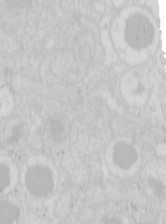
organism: Mouse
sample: Pancreas